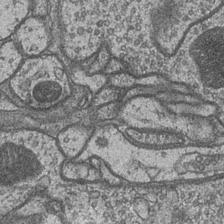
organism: Drosophila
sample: Optic medulla